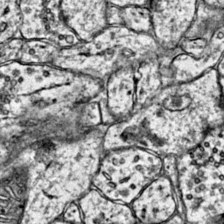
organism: Mouse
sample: Primary visual cortex